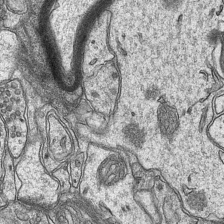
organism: Mouse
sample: CA1 Hippocampus